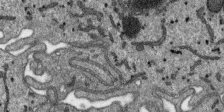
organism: Human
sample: Lung epithelial cells, uninfected (mock) control